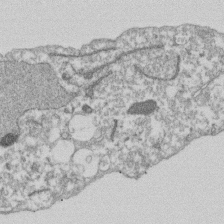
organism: Dictyostelium discoideum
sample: Dictyostelium multivesicular bodies